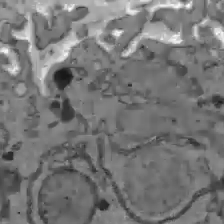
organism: C57BL Mouse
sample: Liver